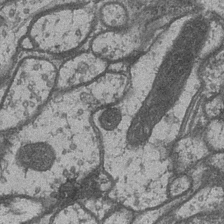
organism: Drosophila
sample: Optic medulla